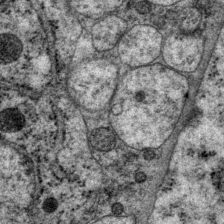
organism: P. pacificus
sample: Pharynx